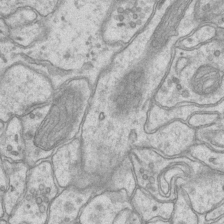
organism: Mouse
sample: CA1 Hippocampus